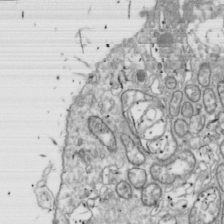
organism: Drosophila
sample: Cell division; meiosis; drosophila spermatocytes